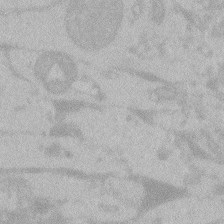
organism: Zebrafish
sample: Macrophage infected with Toxoplasma gondii